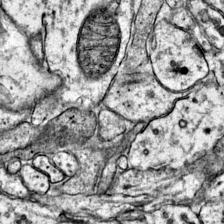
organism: Mouse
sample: Primary visual cortex